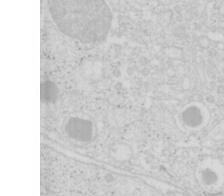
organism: Mouse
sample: Pancreas